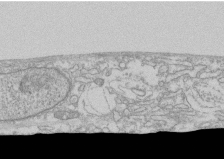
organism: Human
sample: CRL-1474